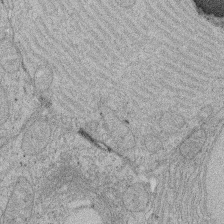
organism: Rat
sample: Salivary granule